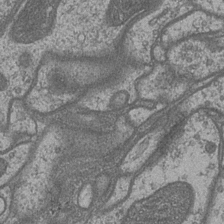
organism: Drosophila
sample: Optic medulla